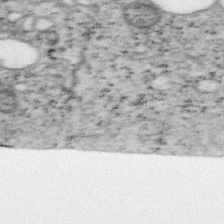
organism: Mouse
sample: OT-I killer T cells with ID8 ovarian cancer cells